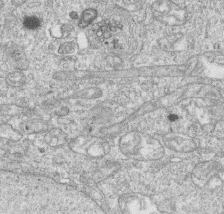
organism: Human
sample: HeLa cell HIV synapse